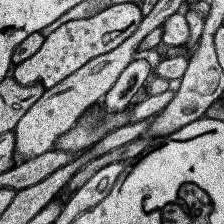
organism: Human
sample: Temporal Lobe